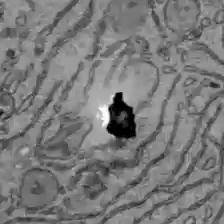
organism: C57BL Mouse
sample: Liver